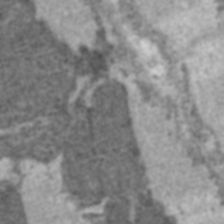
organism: C57BL Mouse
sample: Heart